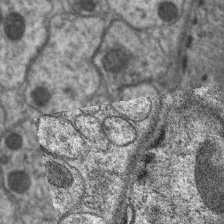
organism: C. elegans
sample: Pharynx